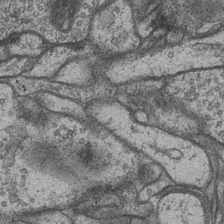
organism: Drosophila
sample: Optic medulla